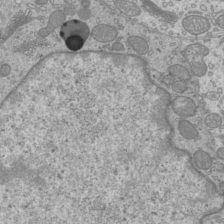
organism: Mouse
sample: Cilia; mouse epididymis